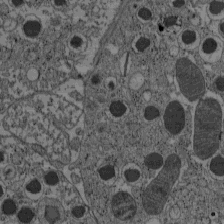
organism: C57BL Mouse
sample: Pancreatic islet